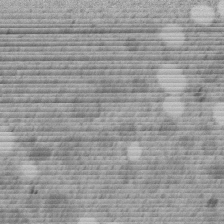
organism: C. elegans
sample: C. elegans embryo early stage